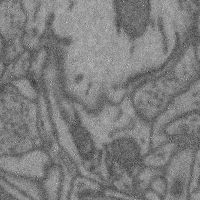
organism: Mouse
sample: Cerebral cortex